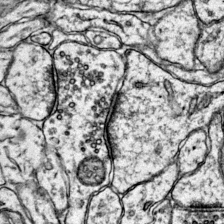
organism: Mouse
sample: Primary visual cortex